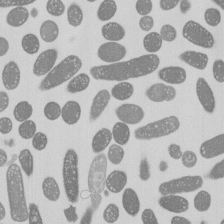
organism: E. coli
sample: Bacterial nucleoid